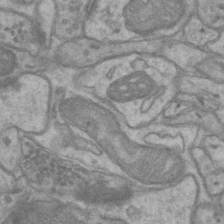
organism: Mouse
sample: CA1 Hippocampus